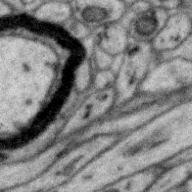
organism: Zebra finch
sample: Brain